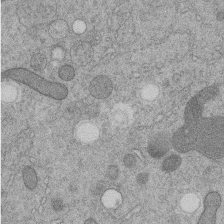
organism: C. elegans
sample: C. elegans embryo early stage